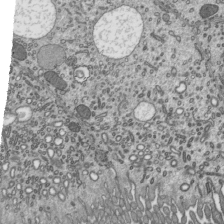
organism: Mouse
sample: Mouse epididymis efferent ductule cilia